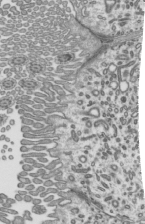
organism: Mouse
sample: Mouse epididymis efferent ductule cilia